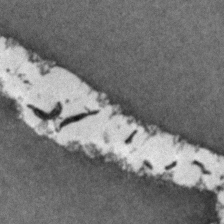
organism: Zebrafish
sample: Zebrafish embryo